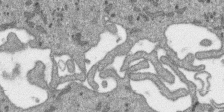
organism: Human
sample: Lung epithelial cells infected with SARS-CoV-2